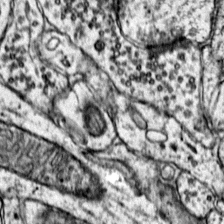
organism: Mouse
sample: Primary visual cortex